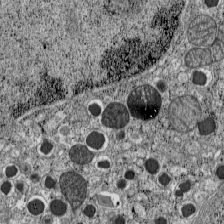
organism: C57BL Mouse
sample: Pancreatic islet